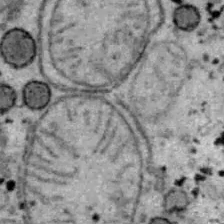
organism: Mouse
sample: Liver from an obese (ob/ob) mouse